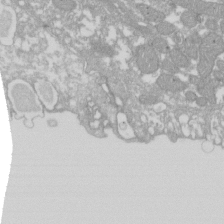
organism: Xenopus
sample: Cilia; centrioles in frog embryo cells